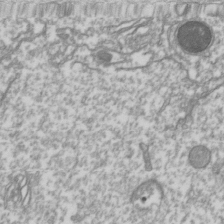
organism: Drosophila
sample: Cell division; meiosis; drosophila spermatocytes